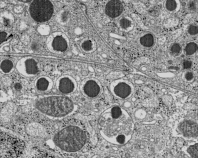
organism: C57BL Mouse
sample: Pancreatic islet